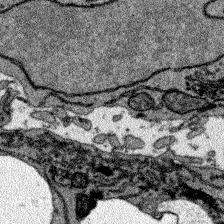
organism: Zebrafish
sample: Larval olfactory bulb